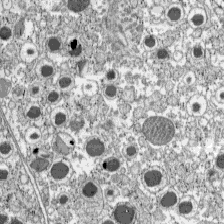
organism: C57BL Mouse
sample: Pancreatic islet